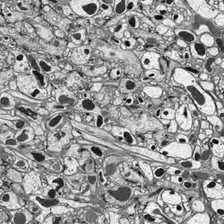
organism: Drosophila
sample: Optic lobe